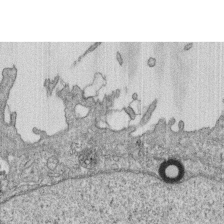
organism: Human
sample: HeLa cell HIV synapse